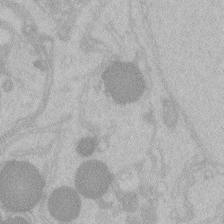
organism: Zebrafish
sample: Macrophage infected with Toxoplasma gondii